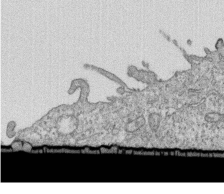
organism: Human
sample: HeLa cell HIV synapse